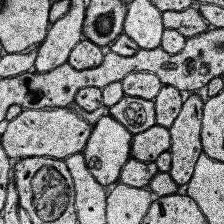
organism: Human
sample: Temporal Lobe